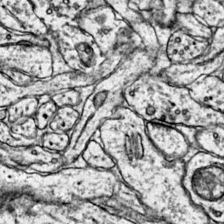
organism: Mouse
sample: Primary visual cortex